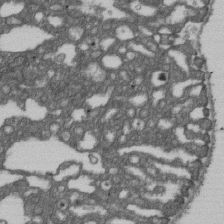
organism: Drosophila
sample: Nephrocyte